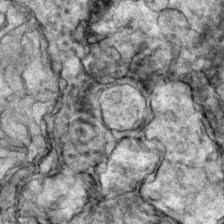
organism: Zebrafish